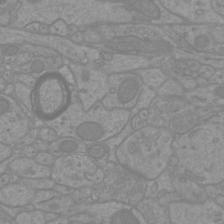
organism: Mouse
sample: Cortical neurons